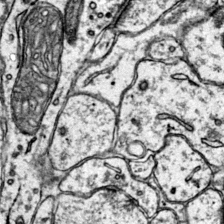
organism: Mouse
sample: Primary visual cortex